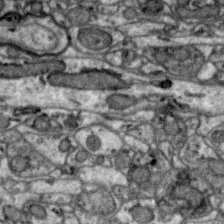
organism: Zebra finch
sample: Brain